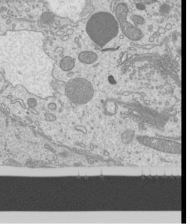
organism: Mouse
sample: Cilia; mouse epididymis